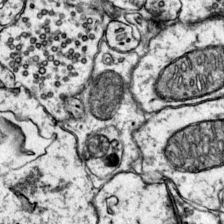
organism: Mouse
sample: Primary visual cortex